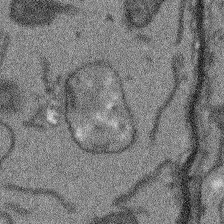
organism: Arabidopsis thaliana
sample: Root tip